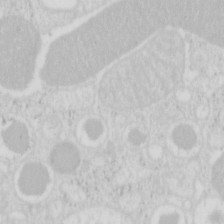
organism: Mouse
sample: Pancreas